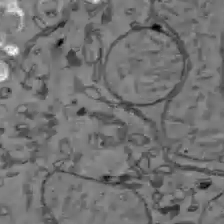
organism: C57BL Mouse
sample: Liver